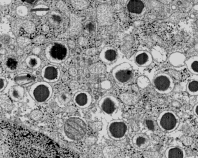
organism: C57BL Mouse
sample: Pancreatic islet